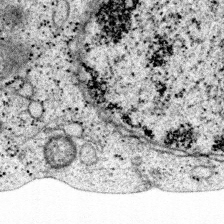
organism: Human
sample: HeLa cells